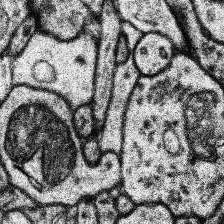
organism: Human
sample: Temporal Lobe